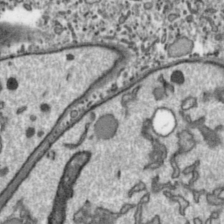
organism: Toxoplasma gondii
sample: Parasites in a vacuole inside a host cell